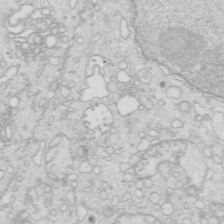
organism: Mouse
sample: Multiciliated cells